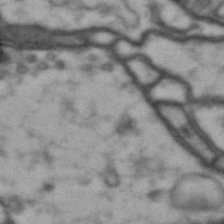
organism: Drosophila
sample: Brain